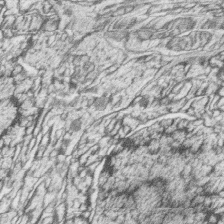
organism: Zebrafish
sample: synaptic ribbons in rod cells and cone cells